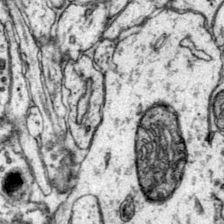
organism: Mouse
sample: Primary visual cortex